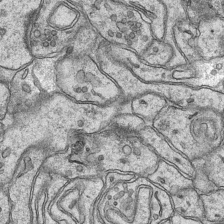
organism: Mouse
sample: CA1 Hippocampus